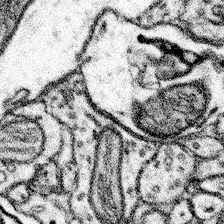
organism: Mouse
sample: Somatosensory cortex neuropil